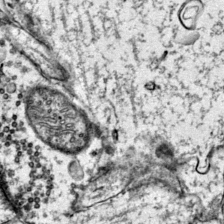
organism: Mouse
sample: Primary visual cortex